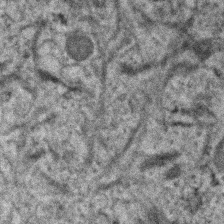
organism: Human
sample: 1205lu cells